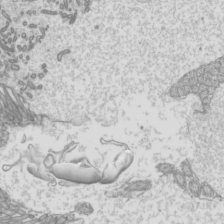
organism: Mouse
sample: Cilia; mouse epididymis